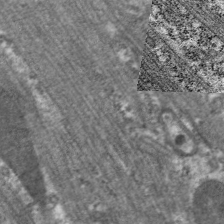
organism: C. elegans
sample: Pharynx